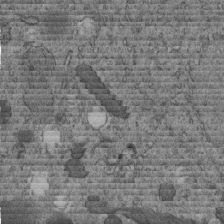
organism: C. elegans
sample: C. elegans embryo early stage